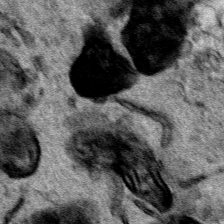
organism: Human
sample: Mitochondria in HCT116 cells